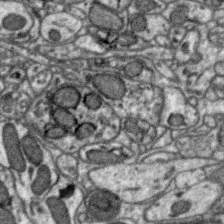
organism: Zebra finch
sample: Brain